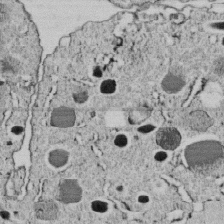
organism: C. elegans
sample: C. elegans embryo early stage